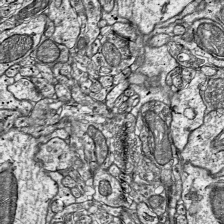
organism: Mouse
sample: Visual Cortex